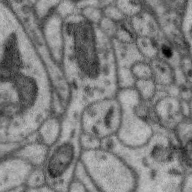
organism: Zebra finch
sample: Brain